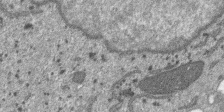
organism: Human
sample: Lung epithelial cells infected with SARS-CoV-2